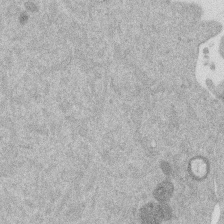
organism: Mouse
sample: Dividing mouse embryo 1 cell stage